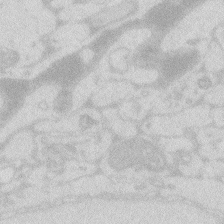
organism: Zebrafish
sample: Macrophage